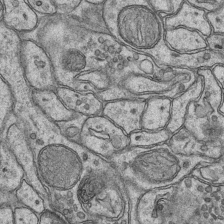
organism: Mouse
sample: CA1 Hippocampus